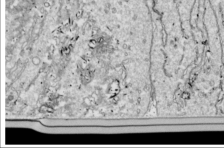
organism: Drosophila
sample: Cell division; meiosis; drosophila spermatocytes